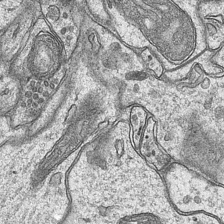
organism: Mouse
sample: CA1 Hippocampus